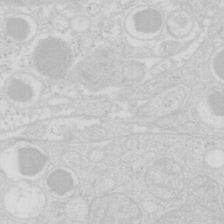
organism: Mouse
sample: Pancreas